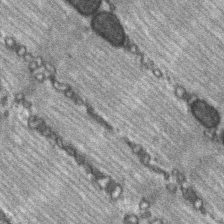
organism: C57BL Mouse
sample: Soleus